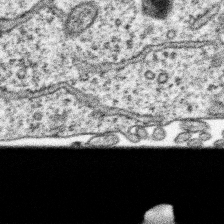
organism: Human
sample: HeLa cells